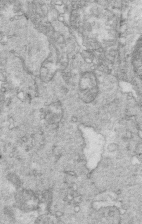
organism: Mouse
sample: Multiciliated cells